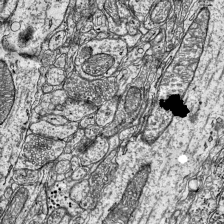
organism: Mouse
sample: Visual Cortex